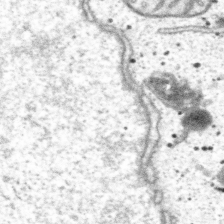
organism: Human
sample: HeLa cells